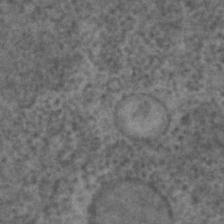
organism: C. elegans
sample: C. elegans embryo